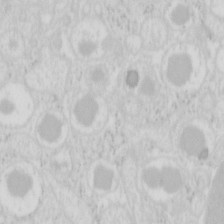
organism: Mouse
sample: Pancreas